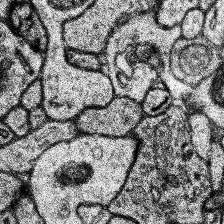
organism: Human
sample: Temporal Lobe